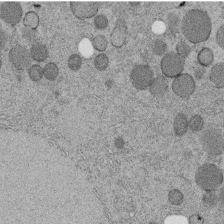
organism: C. elegans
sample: C. elegans embryo early stage